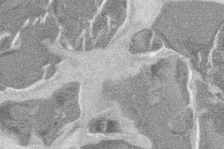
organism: Mouse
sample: T cell stromal cell synapse